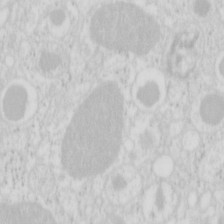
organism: Mouse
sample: Pancreas